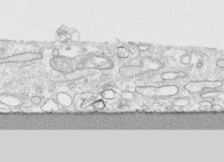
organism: Human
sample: CRL-1474